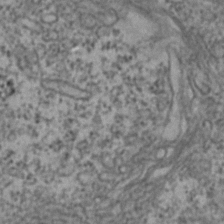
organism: Zebrafish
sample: Zebrafish embryo